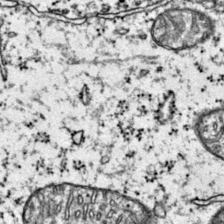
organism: Mouse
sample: Primary visual cortex